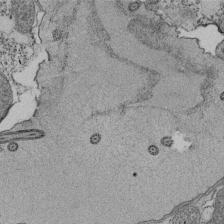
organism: Tetrahymena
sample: Cilia in tetrahymena